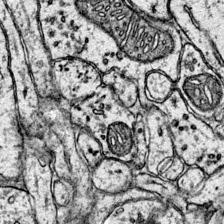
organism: Mouse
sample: Primary visual cortex